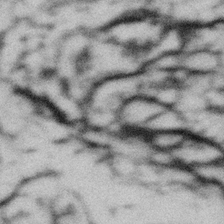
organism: Gemmata obscuriglobus